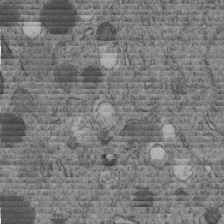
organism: C. elegans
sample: C. elegans embryo early stage